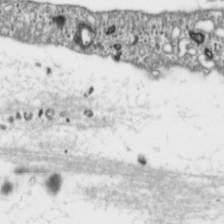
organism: Toxoplasma gondii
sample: Parasites in a vacuole inside a host cell